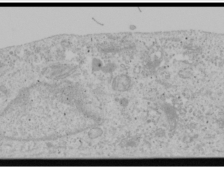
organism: Human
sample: Mitochondria in U2OS cells